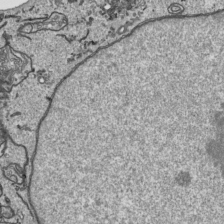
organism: Human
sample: Mitochondria in HCT116 cells